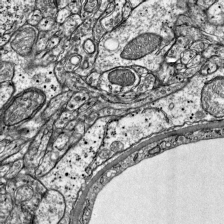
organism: Mouse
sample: Visual Cortex